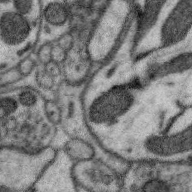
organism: Zebra finch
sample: Brain